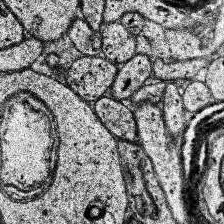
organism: Human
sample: Temporal Lobe